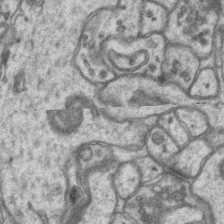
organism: Mouse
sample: CA1 Hippocampus